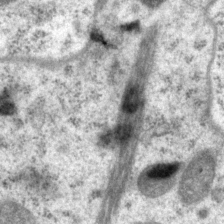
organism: P. pacificus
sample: Pharynx